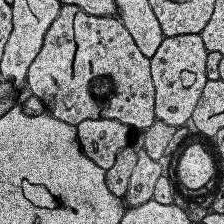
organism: Human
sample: Temporal Lobe